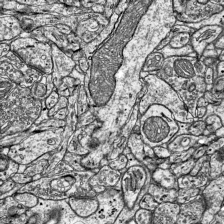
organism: Mouse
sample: Visual Cortex